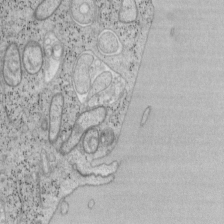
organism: Mouse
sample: OT-I killer T cells with ID8 ovarian cancer cells